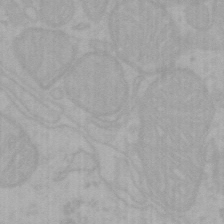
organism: Mouse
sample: Choroid plexus